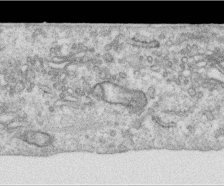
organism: Human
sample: Centriole in RPE cells